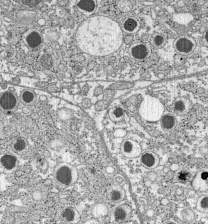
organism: C57BL Mouse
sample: Pancreatic islet